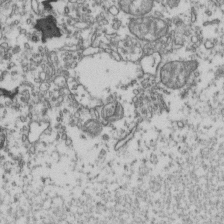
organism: Human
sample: Activated Jurkat CD4+ T cells